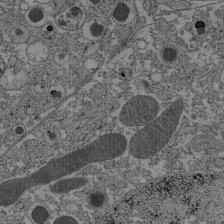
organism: C57BL Mouse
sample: Pancreatic islet